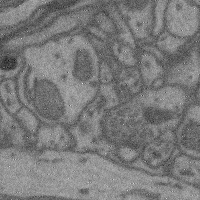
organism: Mouse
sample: Cerebral cortex